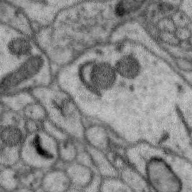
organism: Zebra finch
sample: Brain